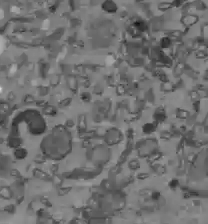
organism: C57BL Mouse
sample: Liver